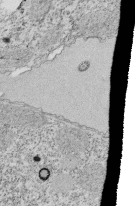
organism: Tetrahymena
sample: Cilia in tetrahymena